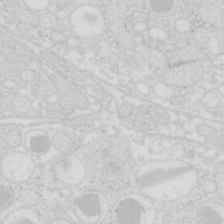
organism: Mouse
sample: Pancreas